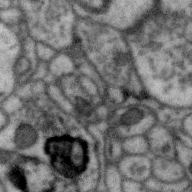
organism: Zebra finch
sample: Brain